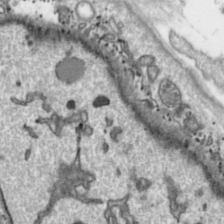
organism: Toxoplasma gondii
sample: Parasites in a vacuole inside a host cell